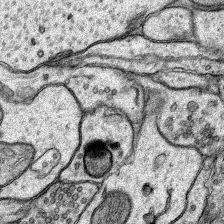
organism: Rat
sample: Hippocampus